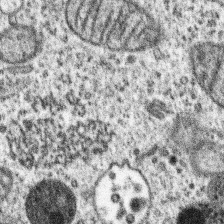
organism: Human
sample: HeLa cells